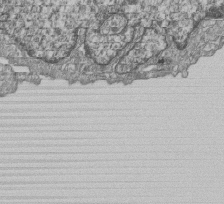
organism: Human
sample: MDA-MB-231 cells